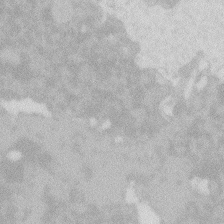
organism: Zebrafish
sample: Macrophage